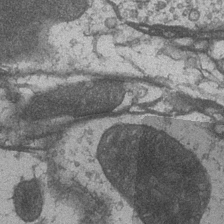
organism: Drosophila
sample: Optic medulla